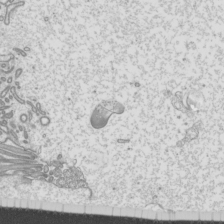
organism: Mouse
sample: Cilia; mouse epididymis